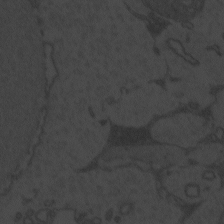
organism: Zebrafish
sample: Macrophage infected with Toxoplasma gondii